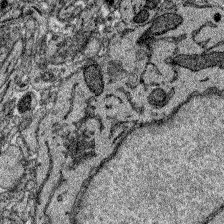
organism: Zebrafish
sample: Larval olfactory bulb